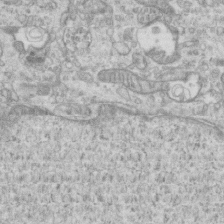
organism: Mouse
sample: Centriole in ependymal cells